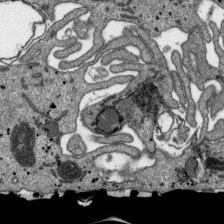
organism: Human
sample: Lung epithelial cells, uninfected (mock) control